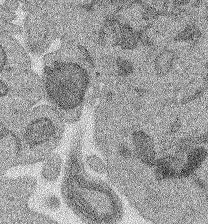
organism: Human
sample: HeLa cells